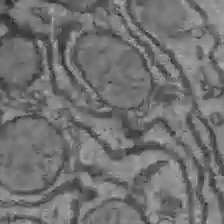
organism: C57BL Mouse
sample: Liver